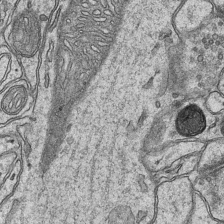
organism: Mouse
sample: CA1 Hippocampus